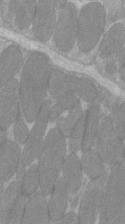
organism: C57BL Mouse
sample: Tibialis anterior muscle cell